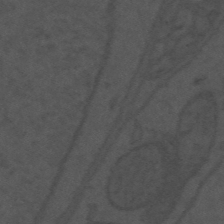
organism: Mouse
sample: Suprachiasmatic nucleus